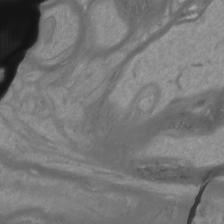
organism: Mouse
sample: Cortical neurons